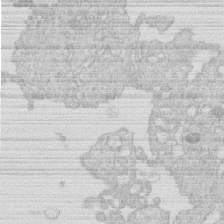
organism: Human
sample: Macrophage cells